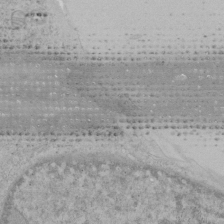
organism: Human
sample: Mitochondria in HCT116 cells